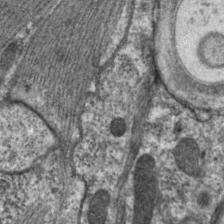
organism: C. elegans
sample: Pharynx